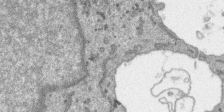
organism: Human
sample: Lung epithelial cells infected with SARS-CoV-2